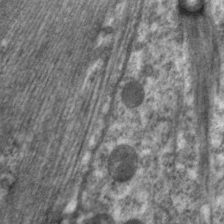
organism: C. elegans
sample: Pharynx